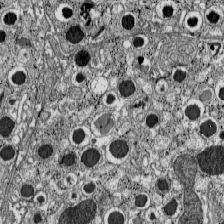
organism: C57BL Mouse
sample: Pancreatic islet